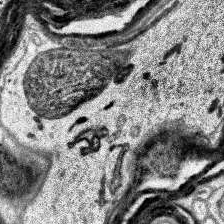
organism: Human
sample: Temporal Lobe